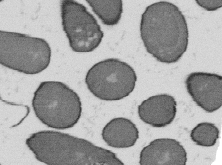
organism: B. subtilis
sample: Bacterial spore